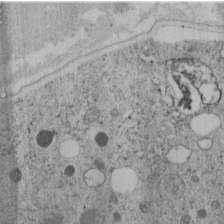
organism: C. elegans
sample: C. elegans embryo early stage